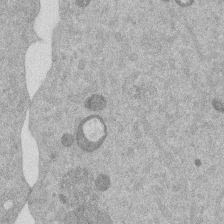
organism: Mouse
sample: Dividing mouse embryo 1 cell stage